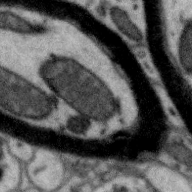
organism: Zebra finch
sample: Brain